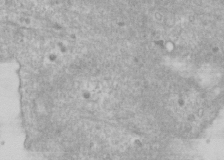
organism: Human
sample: Cilia; basal body in RPE cells